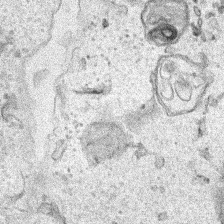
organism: Human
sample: Mitochondria in HCT116 cells